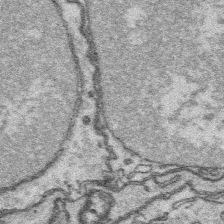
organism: Platynereis dumerilii